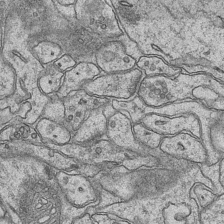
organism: Mouse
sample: CA1 Hippocampus